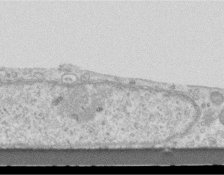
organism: Mouse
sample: Centriole in ependymal cells